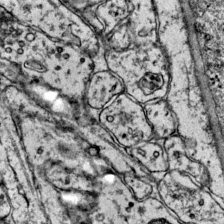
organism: Mouse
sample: Primary visual cortex